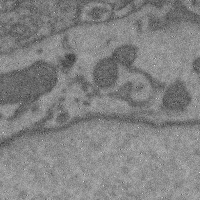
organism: Mouse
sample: Cerebral cortex